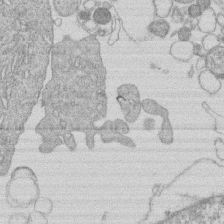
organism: Human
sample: Macrophage cells